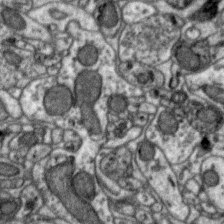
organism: Zebra finch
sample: Brain